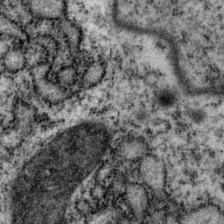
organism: P. pacificus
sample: Pharynx